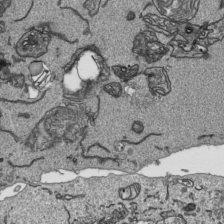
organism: Human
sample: Mitochondria in HCT116 cells